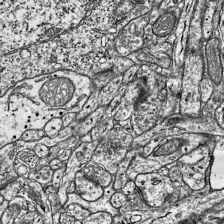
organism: Mouse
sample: Visual Cortex